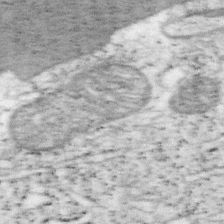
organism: Mouse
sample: OT-I killer T cells with ID8 ovarian cancer cells